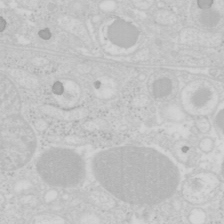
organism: Mouse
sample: Pancreas